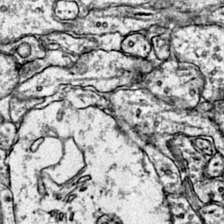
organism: Mouse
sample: Primary visual cortex